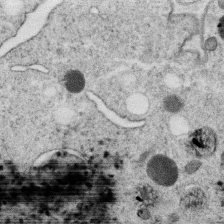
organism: C. elegans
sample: C. elegans oocyte; sperm cells